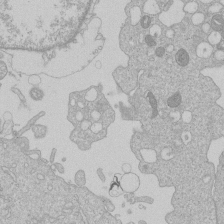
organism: Human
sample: Macrophage cells